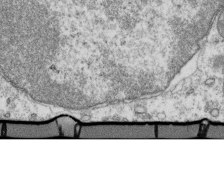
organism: Mouse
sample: Activated OT-1 CD8+ T cells